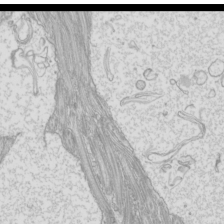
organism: Mouse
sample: Cilia; mouse epididymis